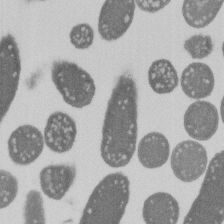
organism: E. coli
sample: Bacterial nucleoid